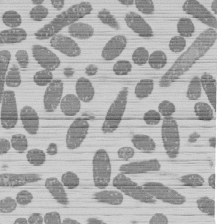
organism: E. coli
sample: Bacterial nucleoid